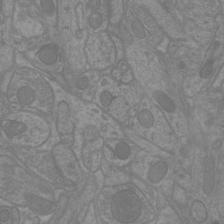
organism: Mouse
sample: Cortical neurons